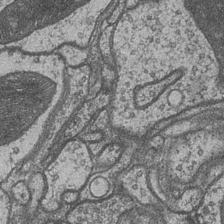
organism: Drosophila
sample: Optic medulla